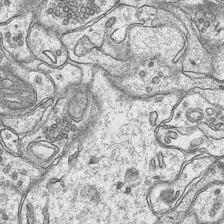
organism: Mouse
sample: CA1 Hippocampus